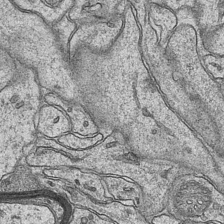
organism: Mouse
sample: CA1 Hippocampus